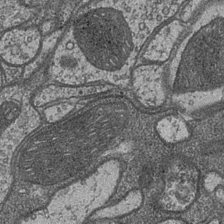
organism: Drosophila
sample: Optic medulla